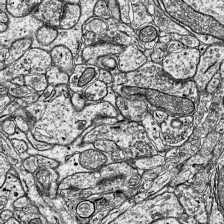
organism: Mouse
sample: Visual Cortex